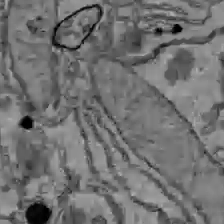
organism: C57BL Mouse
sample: Liver